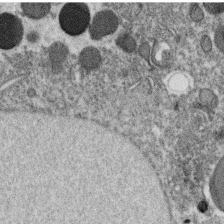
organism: C. elegans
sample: C. elegans oocyte; sperm cells